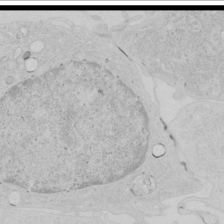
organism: Human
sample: Mitochondria in HCT116 cells